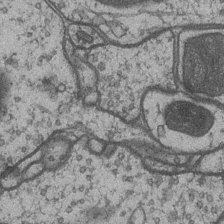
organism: Drosophila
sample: Optic medulla